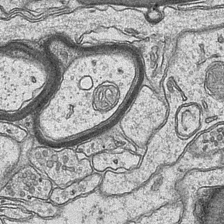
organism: Mouse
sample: CA1 Hippocampus